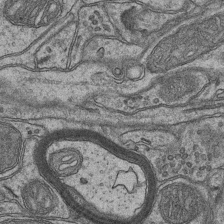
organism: Mouse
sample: CA1 Hippocampus